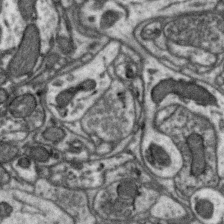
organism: Zebra finch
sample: Brain